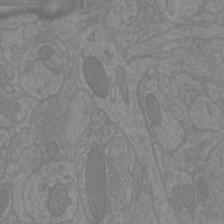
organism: Mouse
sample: Cortical neurons